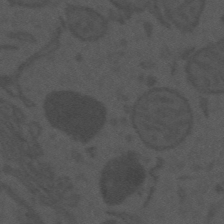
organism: Mouse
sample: Suprachiasmatic nucleus